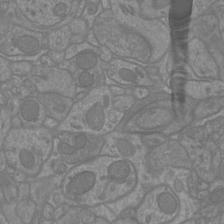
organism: Mouse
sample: Cortical neurons